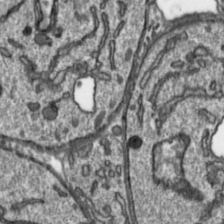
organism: Toxoplasma gondii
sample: Parasites in a vacuole inside a host cell